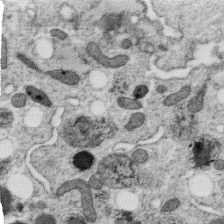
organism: C. elegans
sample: C. elegans oocyte; sperm cells